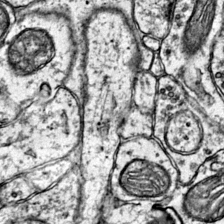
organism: Mouse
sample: Primary visual cortex